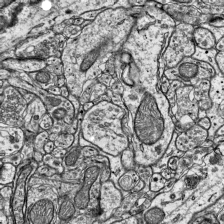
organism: Mouse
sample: Visual Cortex